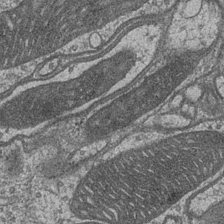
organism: Drosophila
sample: Optic medulla